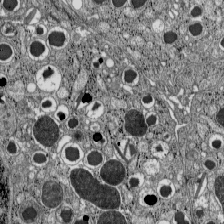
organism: C57BL Mouse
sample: Pancreatic islet